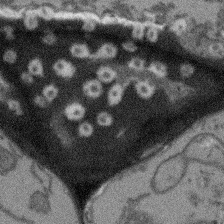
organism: Arabidopsis thaliana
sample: Root tip